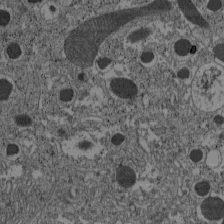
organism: C57BL Mouse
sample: Pancreatic islet